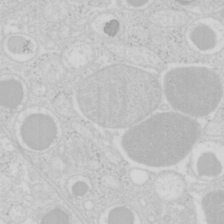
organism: Mouse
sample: Pancreas